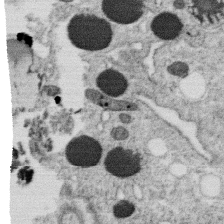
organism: C. elegans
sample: C. elegans oocyte; sperm cells